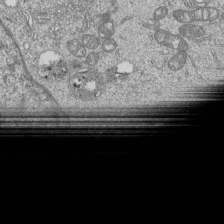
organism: Human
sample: MDA-MB-231 cells